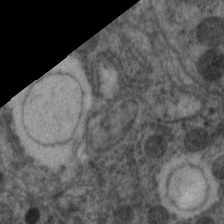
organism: C. elegans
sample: Pharynx